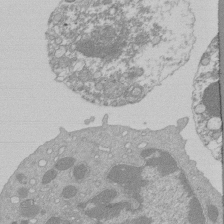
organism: Mouse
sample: Activated Pmel transgenic CD8+ T Cells